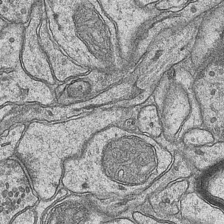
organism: Mouse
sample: CA1 Hippocampus